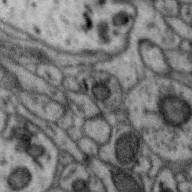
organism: Zebra finch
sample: Brain